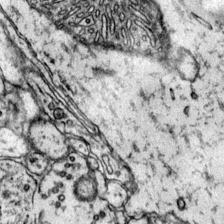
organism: Mouse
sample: Primary visual cortex